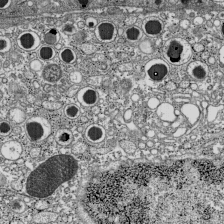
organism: C57BL Mouse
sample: Pancreatic islet